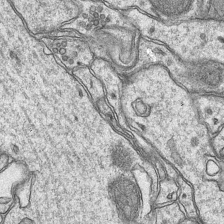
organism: Mouse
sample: CA1 Hippocampus